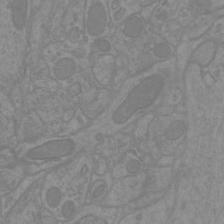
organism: Mouse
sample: Cortical neurons